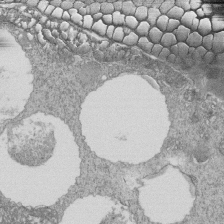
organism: Tetrahymena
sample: Cilia in tetrahymena